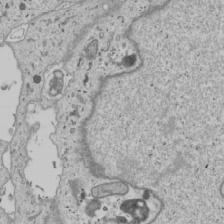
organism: Human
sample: Mitochondria in U2OS cells